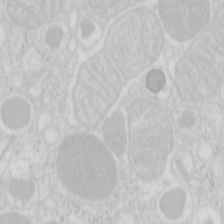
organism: Mouse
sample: Pancreas